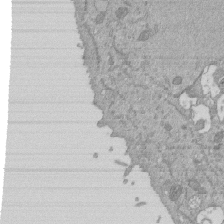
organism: Mouse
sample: ED-1 cell nuclei; centrioles